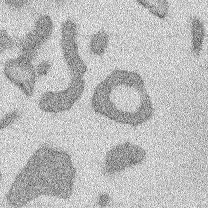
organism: Human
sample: HeLa cells